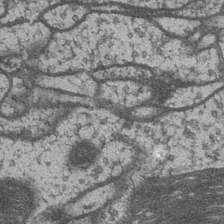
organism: Drosophila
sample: Optic medulla